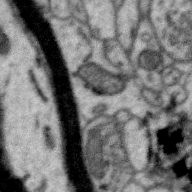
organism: Zebra finch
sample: Brain